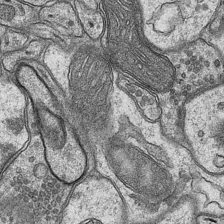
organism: Mouse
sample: CA1 Hippocampus